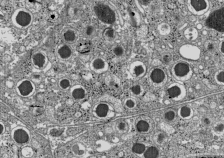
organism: C57BL Mouse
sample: Pancreatic islet